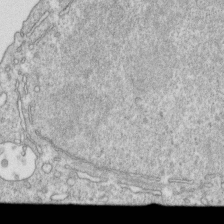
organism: Mouse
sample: Activated OT-1 CD8+ T cells